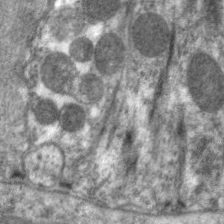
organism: C. elegans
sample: Pharynx